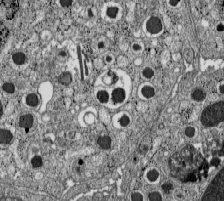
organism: C57BL Mouse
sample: Pancreatic islet